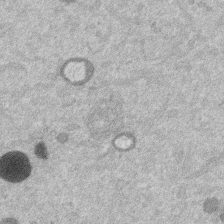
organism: Mouse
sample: Dividing mouse embryo 1 cell stage